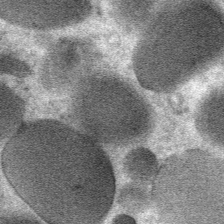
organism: Mouse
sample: Mouse Salivary gland